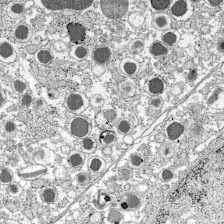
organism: C57BL Mouse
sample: Pancreatic islet